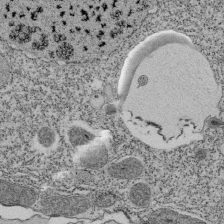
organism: Tetrahymena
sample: Cilia in tetrahymena